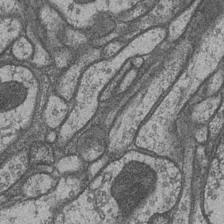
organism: Drosophila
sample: Optic medulla